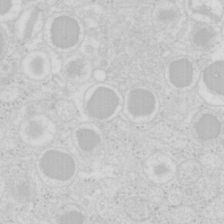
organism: Mouse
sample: Pancreas